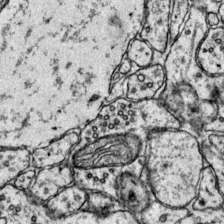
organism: Mouse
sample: Primary visual cortex